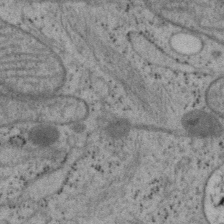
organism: Human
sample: HeLa cells